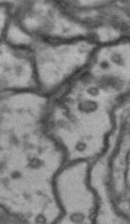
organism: Drosophila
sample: Brain